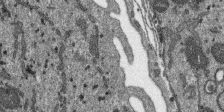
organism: Human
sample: Lung epithelial cells infected with SARS-CoV-2